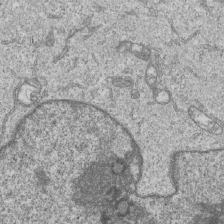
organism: Human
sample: MDA-MB-231 cells